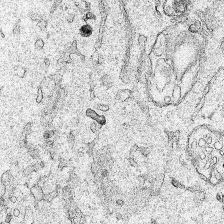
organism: Human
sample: Mitochondria in HCT116 cells